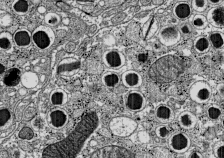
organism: C57BL Mouse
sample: Pancreatic islet